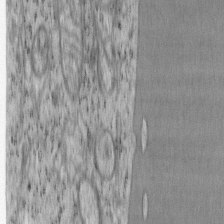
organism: Human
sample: HeLa cells